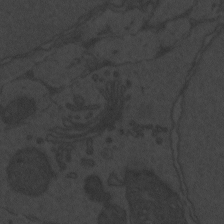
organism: Zebrafish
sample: Macrophage infected with Toxoplasma gondii